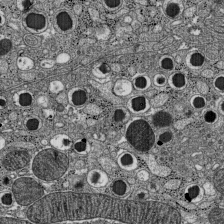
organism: C57BL Mouse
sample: Pancreatic islet